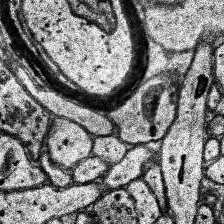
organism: Human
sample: Temporal Lobe